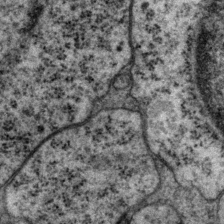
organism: P. pacificus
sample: Pharynx